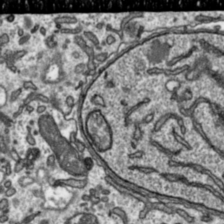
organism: Toxoplasma gondii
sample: Parasites in a vacuole inside a host cell